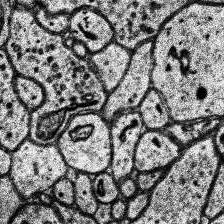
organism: Human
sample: Temporal Lobe